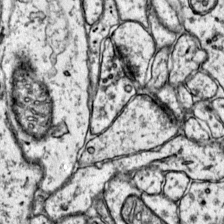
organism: Mouse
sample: Primary visual cortex